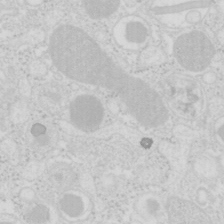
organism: Mouse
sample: Pancreas